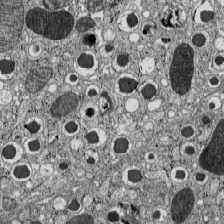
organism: C57BL Mouse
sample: Pancreatic islet